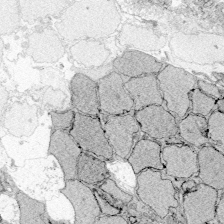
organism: Zebrafish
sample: Whole-Brain